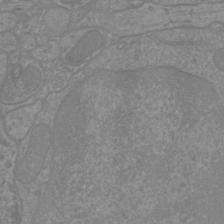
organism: Mouse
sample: Cortical neurons